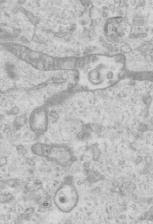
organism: Mouse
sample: Centriole in ependymal cells